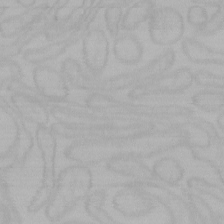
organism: Mouse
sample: Choroid plexus